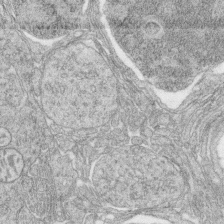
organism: Zebrafish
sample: synaptic ribbons in rod cells and cone cells